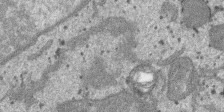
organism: Human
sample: Lung epithelial cells infected with SARS-CoV-2